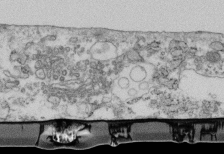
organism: Mouse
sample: Cilia; retinal pigment epithelium